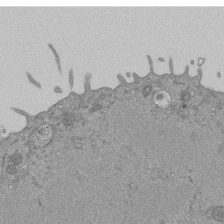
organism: Mouse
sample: ED-1 cell nuclei; centrioles